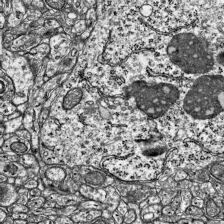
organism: Mouse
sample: Visual Cortex